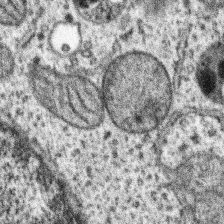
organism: Human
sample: HeLa cells